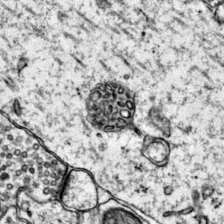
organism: Mouse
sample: Primary visual cortex